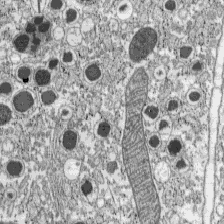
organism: C57BL Mouse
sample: Pancreatic islet